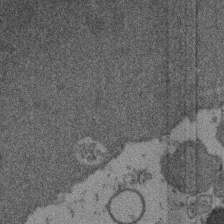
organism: Mouse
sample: Dividing mouse embryo 1 cell stage